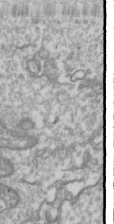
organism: Drosophila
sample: Cell division; meiosis; drosophila spermatocytes